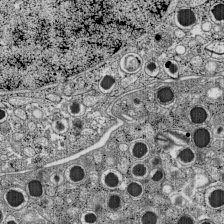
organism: C57BL Mouse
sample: Pancreatic islet